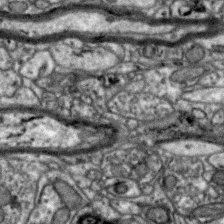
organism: Zebra finch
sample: Brain